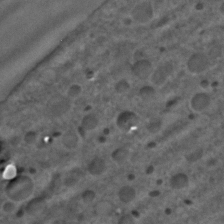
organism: C. elegans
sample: C. elegans embryo